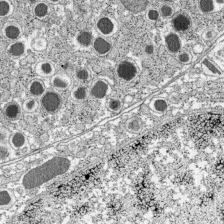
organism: C57BL Mouse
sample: Pancreatic islet